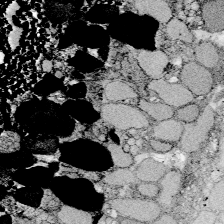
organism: Zebrafish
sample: Whole-Brain